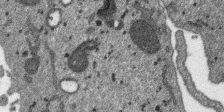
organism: Human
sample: Lung epithelial cells infected with SARS-CoV-2